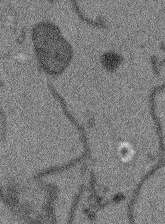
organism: Arabidopsis thaliana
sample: Root tip